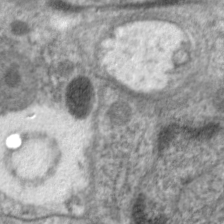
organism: C. elegans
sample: Pharynx